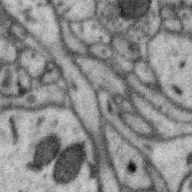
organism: Zebra finch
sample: Brain